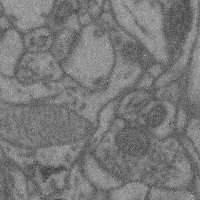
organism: Mouse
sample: Cerebral cortex